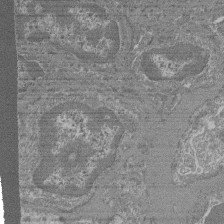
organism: Mouse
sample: Glomerulus